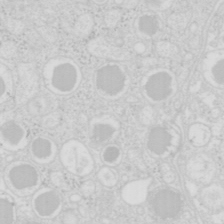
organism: Mouse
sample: Pancreas